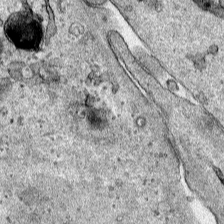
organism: Human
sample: Mitochondria in HCT116 cells